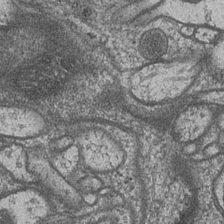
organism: Drosophila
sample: Optic medulla